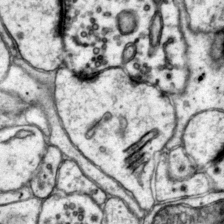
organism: Mouse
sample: Primary visual cortex